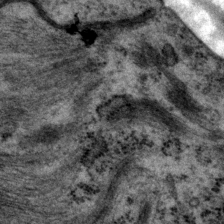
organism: P. pacificus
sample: Pharynx